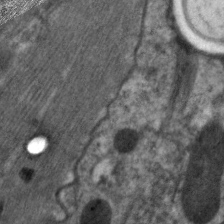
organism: C. elegans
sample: Pharynx